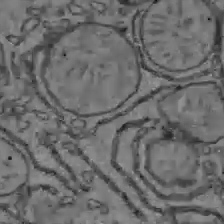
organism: C57BL Mouse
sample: Liver